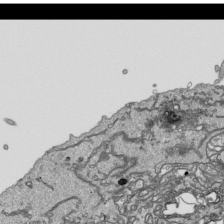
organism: Human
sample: Mitochondria in HCT116 cells